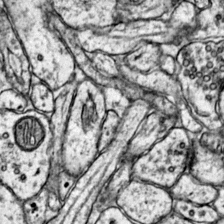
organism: Mouse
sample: Primary visual cortex